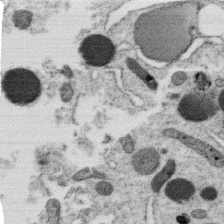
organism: C. elegans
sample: C. elegans oocyte; sperm cells